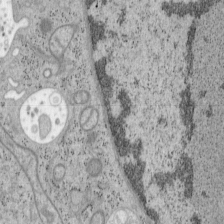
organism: Mouse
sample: OT-I killer T cells with ID8 ovarian cancer cells